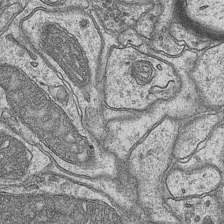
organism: Mouse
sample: CA1 Hippocampus